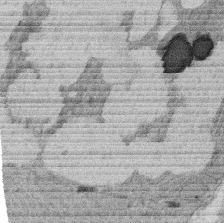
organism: Rat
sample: Salivary granule